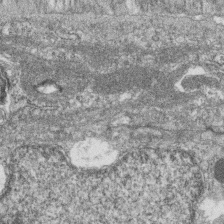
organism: Zebrafish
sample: Cilia; retinal pigment epithelium